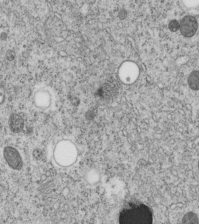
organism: C. elegans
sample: C. elegans embryo early stage